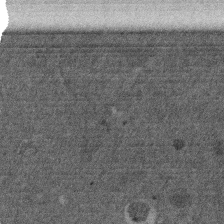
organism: Mouse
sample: Dividing mouse embryo 1 cell stage